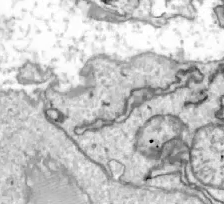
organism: Zebrafish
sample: Actinotrichia fibers